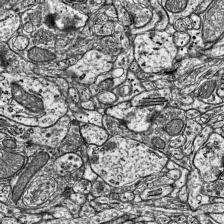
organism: Mouse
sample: Visual Cortex